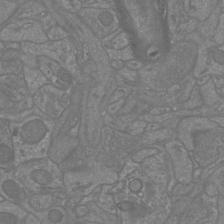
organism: Mouse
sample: Cortical neurons